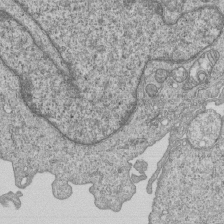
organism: Human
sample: MDA-MB-231 cells